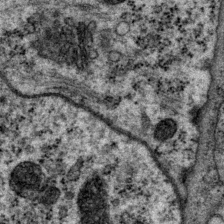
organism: P. pacificus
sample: Pharynx